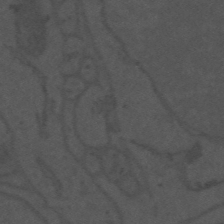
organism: Mouse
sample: Suprachiasmatic nucleus